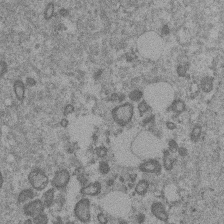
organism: Mouse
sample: Dividing mouse embryo 1 cell stage